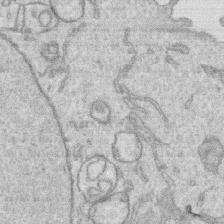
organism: Human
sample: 1205lu cells